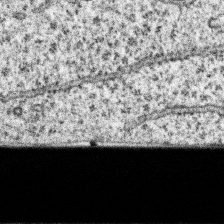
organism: Human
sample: HeLa cells